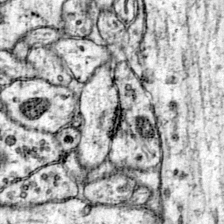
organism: Mouse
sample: Primary visual cortex